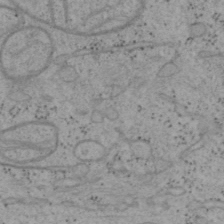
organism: Human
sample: HeLa cells